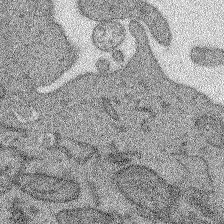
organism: Human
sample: HeLa cells